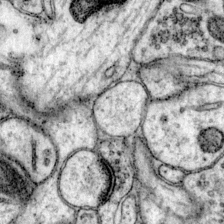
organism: Mouse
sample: Primary visual cortex